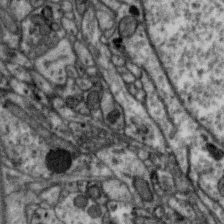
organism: Zebra finch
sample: Brain